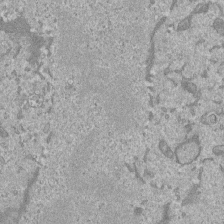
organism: Mouse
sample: ED-1 cell nuclei; centrioles